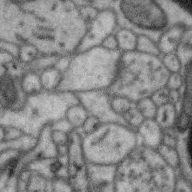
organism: Zebra finch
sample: Brain